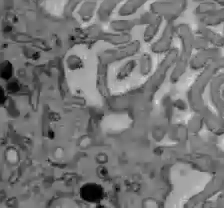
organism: C57BL Mouse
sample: Liver